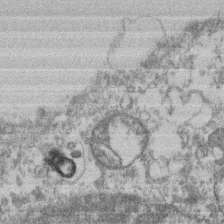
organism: Mouse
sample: T cell stromal cell synapse